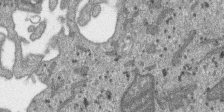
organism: Human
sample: Lung epithelial cells infected with SARS-CoV-2